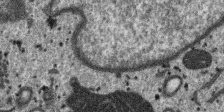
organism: Human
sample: Lung epithelial cells infected with SARS-CoV-2